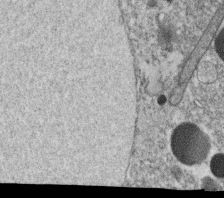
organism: C. elegans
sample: C. elegans oocyte; sperm cells